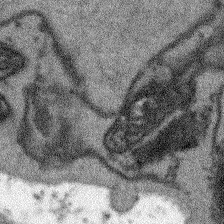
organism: Arabidopsis thaliana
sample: Root tip